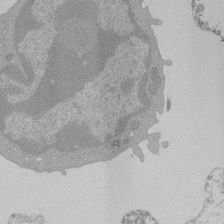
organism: Mouse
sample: Activated Pmel transgenic CD8+ T Cells